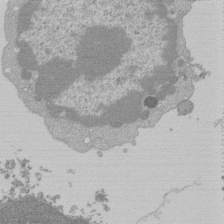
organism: Mouse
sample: Activated Pmel transgenic CD8+ T Cells